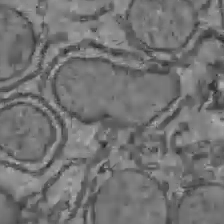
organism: C57BL Mouse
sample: Liver